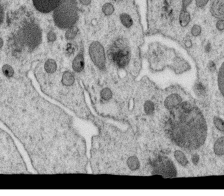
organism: C. elegans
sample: C. elegans oocyte; sperm cells